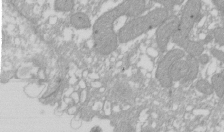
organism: Xenopus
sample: Cilia; centrioles in frog embryo cells